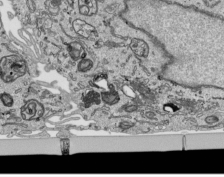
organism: Human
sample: Mitochondria in HCT116 cells